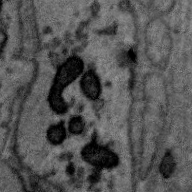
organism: Zebra finch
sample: Brain